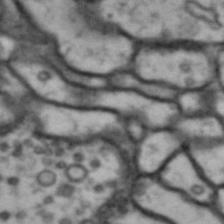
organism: Drosophila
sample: Brain